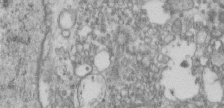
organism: Human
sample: Centriole in RPE cells